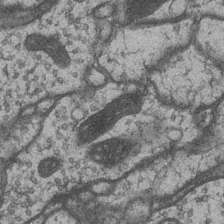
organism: Drosophila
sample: Optic medulla